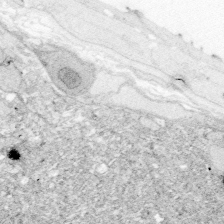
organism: Zebrafish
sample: Whole-Brain